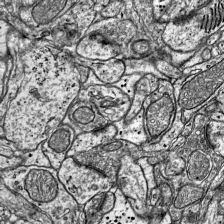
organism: Mouse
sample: Visual Cortex